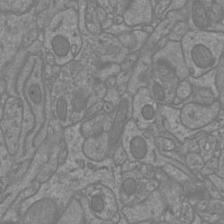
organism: Mouse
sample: Cortical neurons